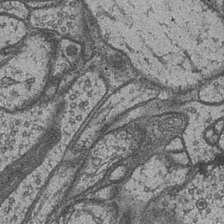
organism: Drosophila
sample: Optic medulla